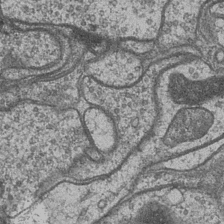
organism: Drosophila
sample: Optic medulla